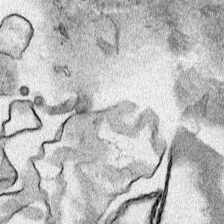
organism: Human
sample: Mitochondria in HCT116 cells